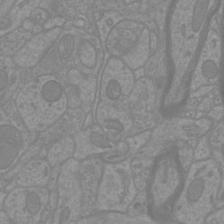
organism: Mouse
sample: Cortical neurons